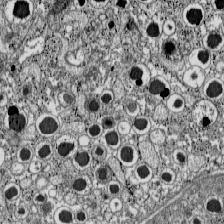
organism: C57BL Mouse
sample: Pancreatic islet